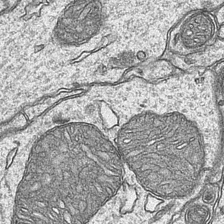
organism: Mouse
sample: CA1 Hippocampus